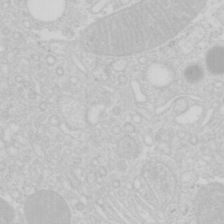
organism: Mouse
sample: Pancreas